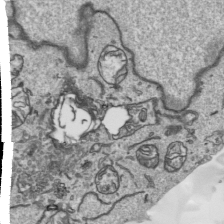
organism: Human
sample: Mitochondria in HCT116 cells